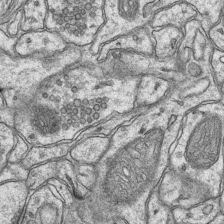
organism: Mouse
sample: CA1 Hippocampus